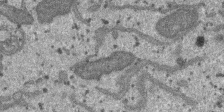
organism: Human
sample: Lung epithelial cells infected with SARS-CoV-2